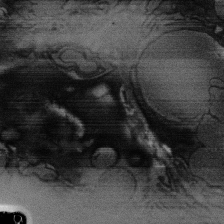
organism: Rat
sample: Salivary granule